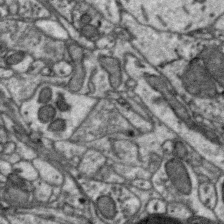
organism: Zebra finch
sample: Brain